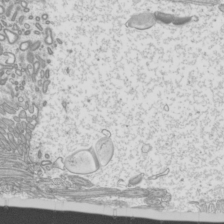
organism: Mouse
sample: Cilia; mouse epididymis